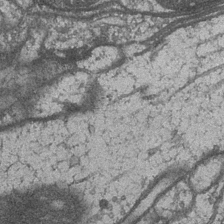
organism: Drosophila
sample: Optic medulla